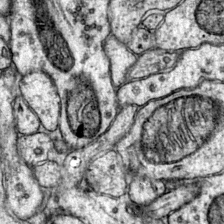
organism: Mouse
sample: Primary visual cortex